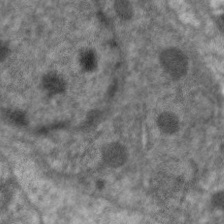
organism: C. elegans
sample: Pharynx